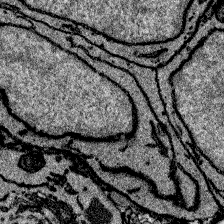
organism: Zebrafish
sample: Larval olfactory bulb